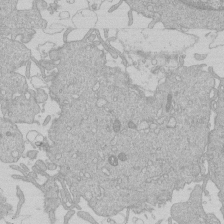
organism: Human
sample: Macrophage cells